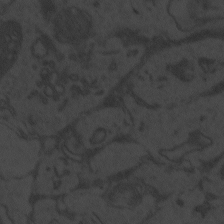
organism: Zebrafish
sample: Macrophage infected with Toxoplasma gondii